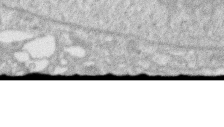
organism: Human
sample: HeLa cell HIV synapse